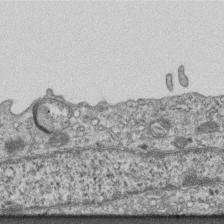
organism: Mouse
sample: Centriole in ependymal cells